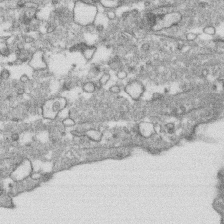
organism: Human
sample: CRL-1474